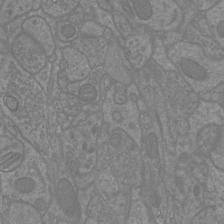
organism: Mouse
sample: Cortical neurons